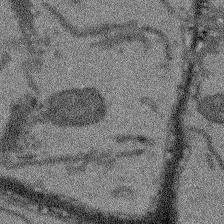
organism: Arabidopsis thaliana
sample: Root tip